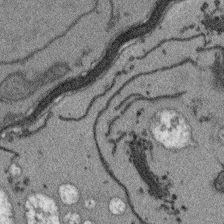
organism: Arabidopsis thaliana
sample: Root tip